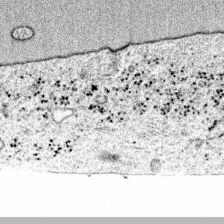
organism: Human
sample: HeLa cells